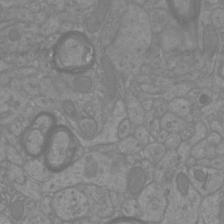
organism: Mouse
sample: Cortical neurons